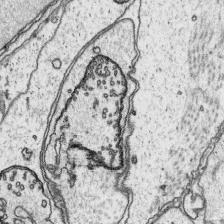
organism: Platynereis dumerilii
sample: Parapodia